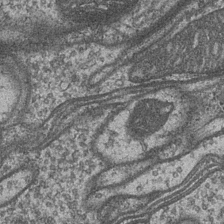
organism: Drosophila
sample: Optic medulla